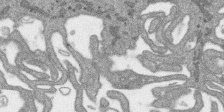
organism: Human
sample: Lung epithelial cells infected with SARS-CoV-2